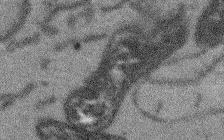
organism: Arabidopsis thaliana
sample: Root tip